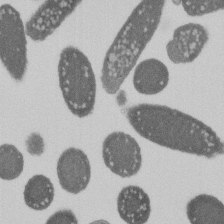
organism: E. coli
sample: Bacterial nucleoid